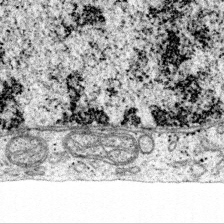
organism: Human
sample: HeLa cells